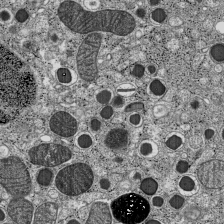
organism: C57BL Mouse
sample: Pancreatic islet